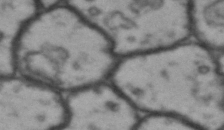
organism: Drosophila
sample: Brain